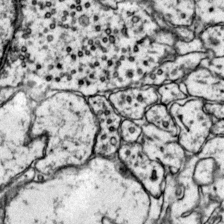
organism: Mouse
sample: Primary visual cortex